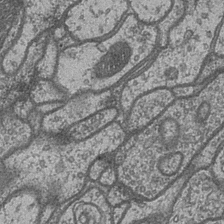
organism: Drosophila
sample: Optic medulla